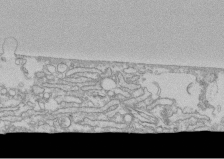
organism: Human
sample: CRL-1474